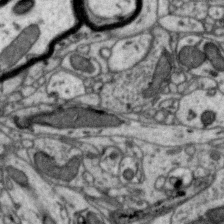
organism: Zebra finch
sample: Brain